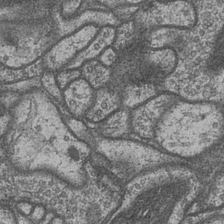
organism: Drosophila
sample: Optic medulla